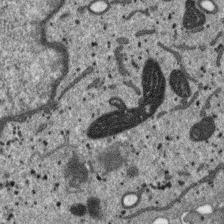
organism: Human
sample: Lung epithelial cells infected with SARS-CoV-2